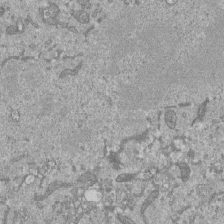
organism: Mouse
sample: ED-1 cell nuclei; centrioles